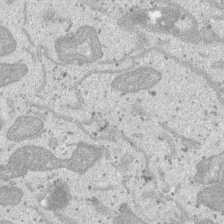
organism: Human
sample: Lung epithelial cells infected with SARS-CoV-2